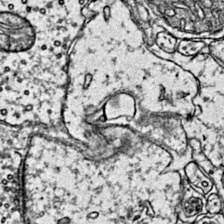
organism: Mouse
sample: Primary visual cortex